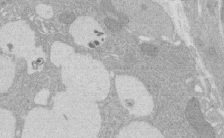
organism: Rat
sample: Salivary granule